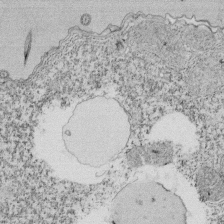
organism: Tetrahymena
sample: Cilia in tetrahymena